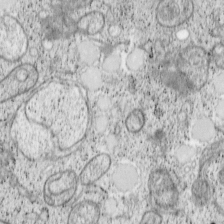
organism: African green monkey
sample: COS-7 cells